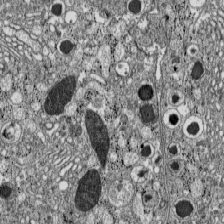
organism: C57BL Mouse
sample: Pancreatic islet